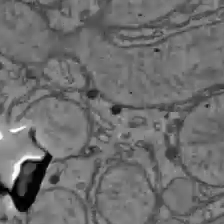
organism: C57BL Mouse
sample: Liver